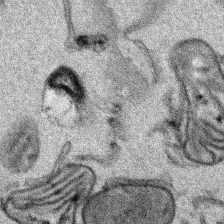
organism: Human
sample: Mitochondria in HCT116 cells